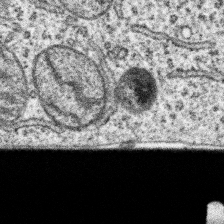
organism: Human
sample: HeLa cells